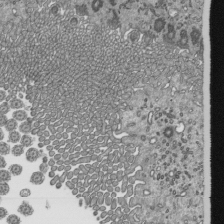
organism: Mouse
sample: Mouse epididymis efferent ductule cilia